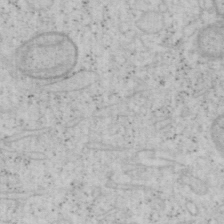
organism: Human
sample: HeLa cells